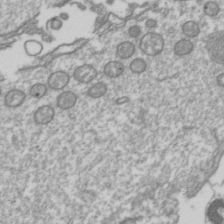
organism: Drosophila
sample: Cell division; meiosis; drosophila spermatocytes